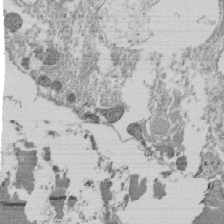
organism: Tetrahymena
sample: Cilia in tetrahymena